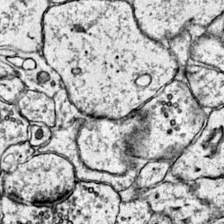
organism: Mouse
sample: Primary visual cortex